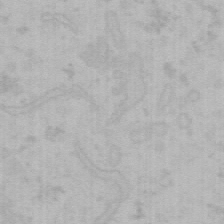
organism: Mouse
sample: Choroid plexus